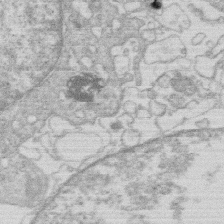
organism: Human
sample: Macrophage cells